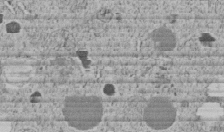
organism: C. elegans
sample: C. elegans embryo early stage